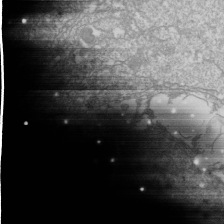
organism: Drosophila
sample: Cell division; meiosis; drosophila spermatocytes